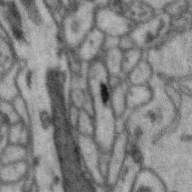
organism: Zebra finch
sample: Brain